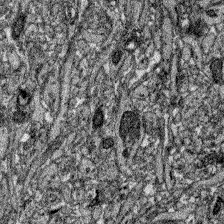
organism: Zebrafish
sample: Larval olfactory bulb